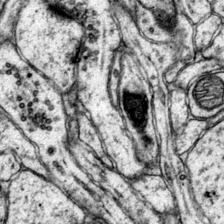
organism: Mouse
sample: Primary visual cortex